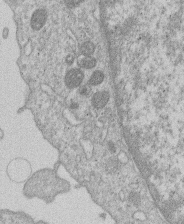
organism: Human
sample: Macrophage cells